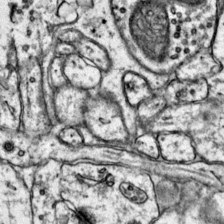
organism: Mouse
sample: Primary visual cortex